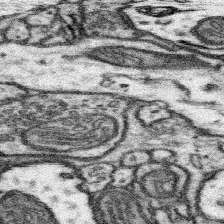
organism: Mouse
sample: Somatosensory cortex neuropil